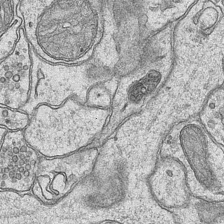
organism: Mouse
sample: CA1 Hippocampus